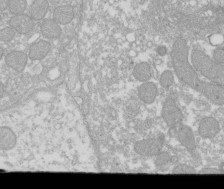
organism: Xenopus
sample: Cilia; centrioles in frog embryo cells